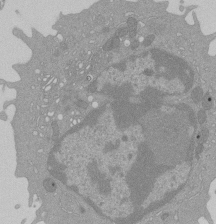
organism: Mouse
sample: Activated Pmel transgenic CD8+ T Cells